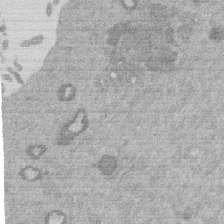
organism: Mouse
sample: Dividing mouse embryo 1 cell stage